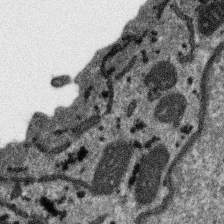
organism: Human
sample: Lung epithelial cells infected with SARS-CoV-2